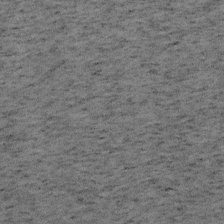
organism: Mouse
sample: OT-I killer T cells with ID8 ovarian cancer cells